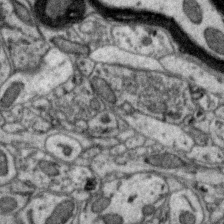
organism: Zebra finch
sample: Brain